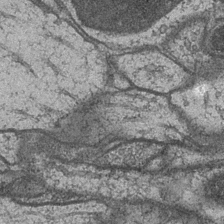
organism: Drosophila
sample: Optic medulla